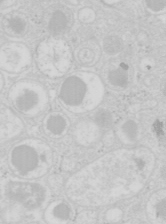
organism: Mouse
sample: Pancreas